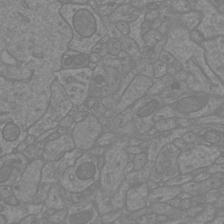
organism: Mouse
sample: Cortical neurons